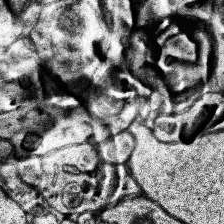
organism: Human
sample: Temporal Lobe